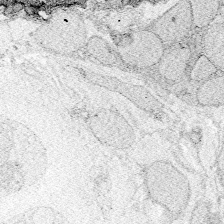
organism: Zebrafish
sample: Whole-Brain